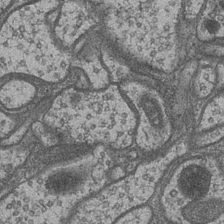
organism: Drosophila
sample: Optic medulla